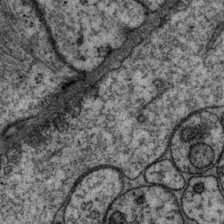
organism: P. pacificus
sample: Pharynx